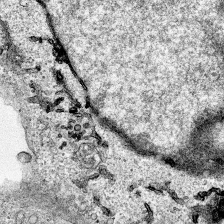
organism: Human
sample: Mitochondria in HCT116 cells